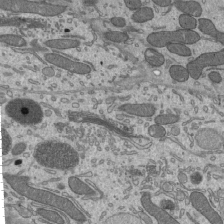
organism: Mouse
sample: Mouse epididymis efferent ductule cilia